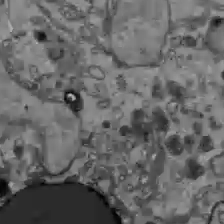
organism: C57BL Mouse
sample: Liver